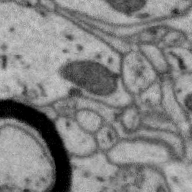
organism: Zebra finch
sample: Brain